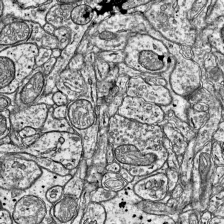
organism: Mouse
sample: Visual Cortex